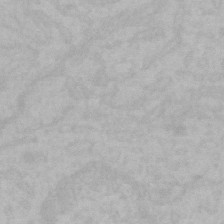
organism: Mouse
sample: Choroid plexus